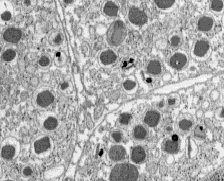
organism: C57BL Mouse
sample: Pancreatic islet